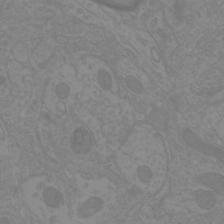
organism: Mouse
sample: Cortical neurons